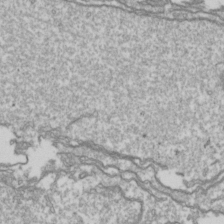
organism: Drosophila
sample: Cell division; meiosis; drosophila spermatocytes